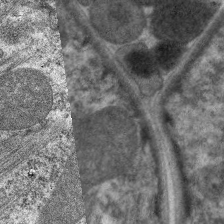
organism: C. elegans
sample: Pharynx